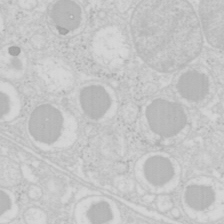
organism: Mouse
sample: Pancreas